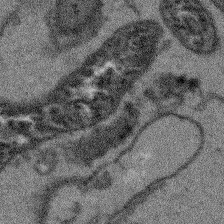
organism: Arabidopsis thaliana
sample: Root tip